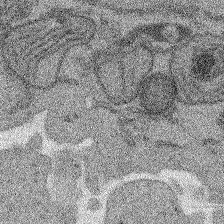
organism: Human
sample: HeLa cells